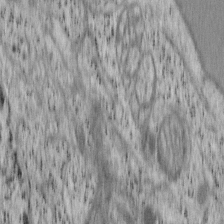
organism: Human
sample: HeLa cells